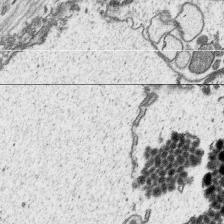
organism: Platynereis dumerilii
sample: Parapodia